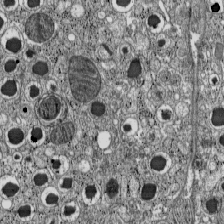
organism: C57BL Mouse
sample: Pancreatic islet